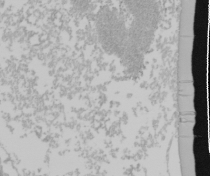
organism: Mouse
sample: Cancer cell death in ED-1 cells